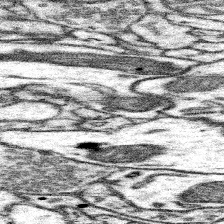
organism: Mouse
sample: Somatosensory cortex neuropil